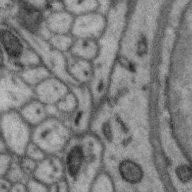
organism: Zebra finch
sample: Brain